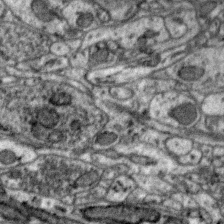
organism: Zebra finch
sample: Brain